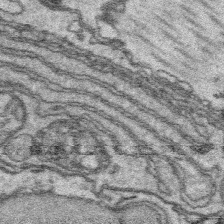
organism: Platynereis dumerilii